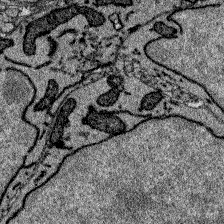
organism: Zebrafish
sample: Larval olfactory bulb